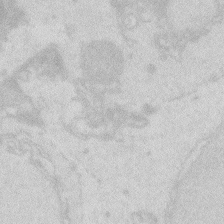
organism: Zebrafish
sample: Macrophage